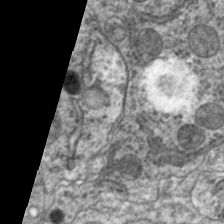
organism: C. elegans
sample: Pharynx